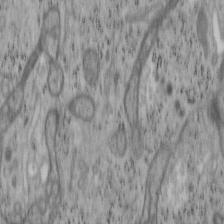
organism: Human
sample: HeLa cells